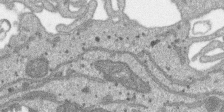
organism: Human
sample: Lung epithelial cells infected with SARS-CoV-2